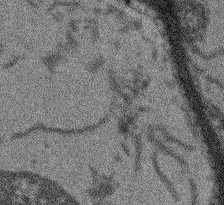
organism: Arabidopsis thaliana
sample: Root tip